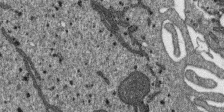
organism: Human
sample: Lung epithelial cells infected with SARS-CoV-2